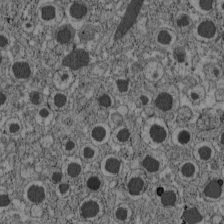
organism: C57BL Mouse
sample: Pancreatic islet